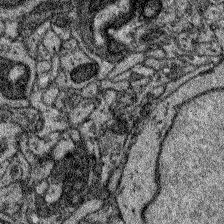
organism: Zebrafish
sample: Larval olfactory bulb